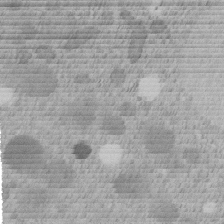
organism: C. elegans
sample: C. elegans embryo early stage